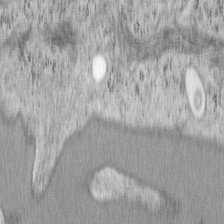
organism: Human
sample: HeLa cells